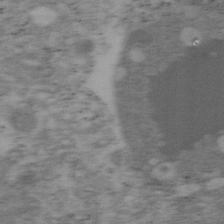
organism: Mouse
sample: OT-I killer T cells with ID8 ovarian cancer cells